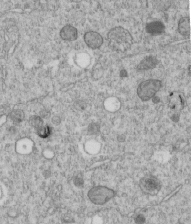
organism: C. elegans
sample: C. elegans embryo early stage